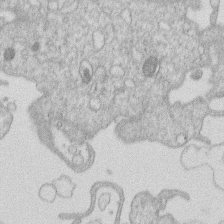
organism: Human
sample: Macrophage cells